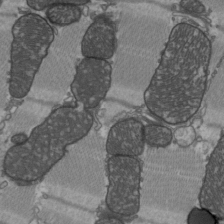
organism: C57BL Mouse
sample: Heart